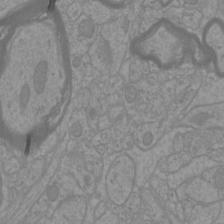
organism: Mouse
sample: Cortical neurons